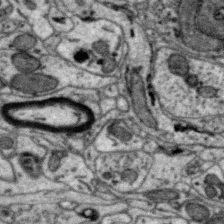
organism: Zebra finch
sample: Brain